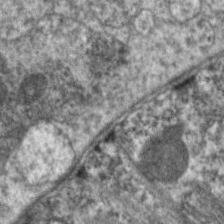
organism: C. elegans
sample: Pharynx